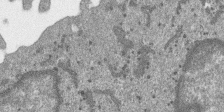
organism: Human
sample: Lung epithelial cells infected with SARS-CoV-2